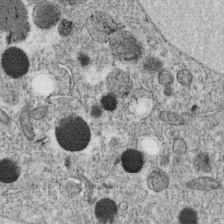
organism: C. elegans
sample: C. elegans oocyte; sperm cells